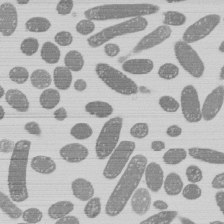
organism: E. coli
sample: Bacterial nucleoid